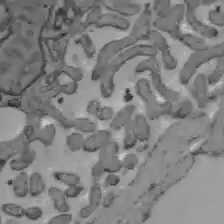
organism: C57BL Mouse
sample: Liver